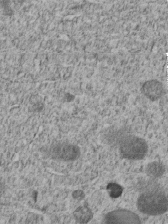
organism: C. elegans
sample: C. elegans embryo early stage